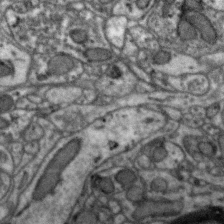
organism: Zebra finch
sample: Brain